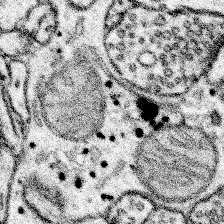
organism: Mouse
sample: Somatosensory cortex neuropil